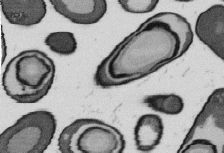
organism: B. subtilis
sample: Bacterial spore